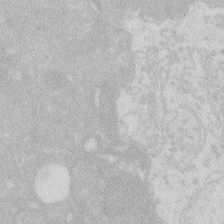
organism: Zebrafish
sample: Macrophage